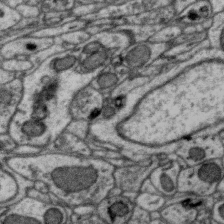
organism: Zebra finch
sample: Brain